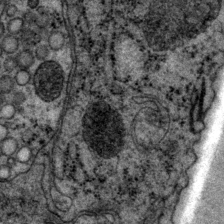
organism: P. pacificus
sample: Pharynx